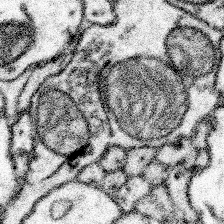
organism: Mouse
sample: Somatosensory cortex neuropil